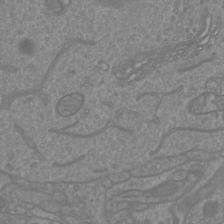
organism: Mouse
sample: Cortical neurons